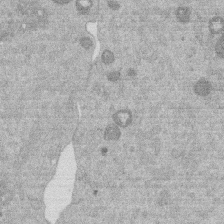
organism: Mouse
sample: Dividing mouse embryo 1 cell stage